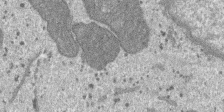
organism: Human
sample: Lung epithelial cells infected with SARS-CoV-2